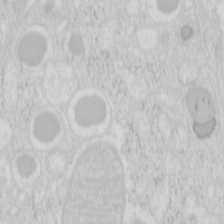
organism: Mouse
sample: Pancreas